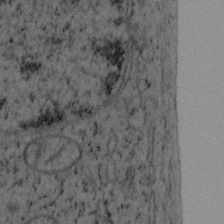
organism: Human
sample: HeLa cells